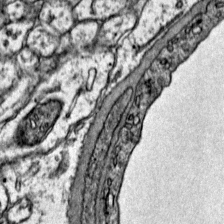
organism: Mouse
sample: Primary visual cortex